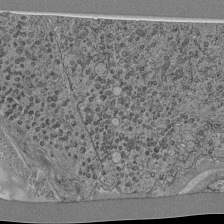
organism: C. elegans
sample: C. elegans pharynx